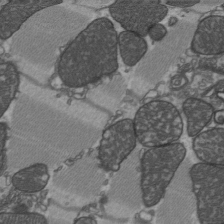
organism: C57BL Mouse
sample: Heart